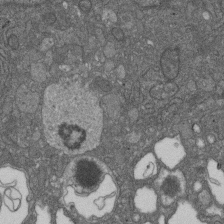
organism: Drosophila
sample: Nephrocyte